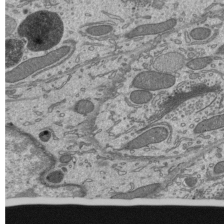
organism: Mouse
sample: Mouse epididymis efferent ductule cilia